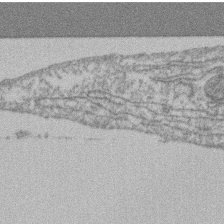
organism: Mouse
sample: T cell stromal cell synapse